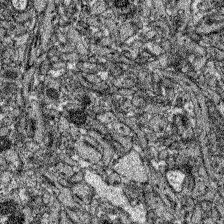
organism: Zebrafish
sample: Larval olfactory bulb